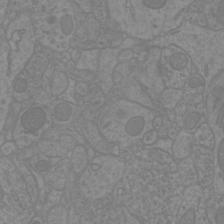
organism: Mouse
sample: Cortical neurons